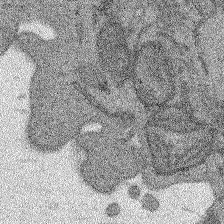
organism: Human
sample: HeLa cells